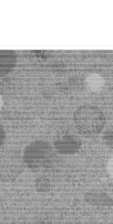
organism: C. elegans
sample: C. elegans embryo early stage